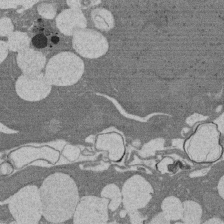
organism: Rat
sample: Salivary granule